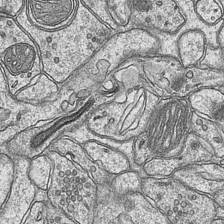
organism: Mouse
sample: CA1 Hippocampus